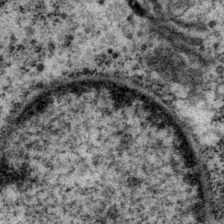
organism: P. pacificus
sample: Pharynx